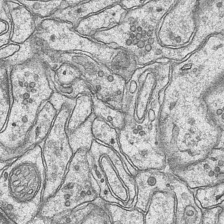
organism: Mouse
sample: CA1 Hippocampus